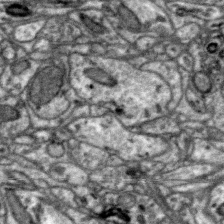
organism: Zebra finch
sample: Brain